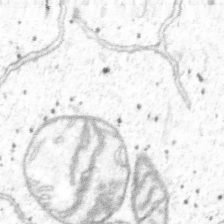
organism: Human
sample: HeLa cells